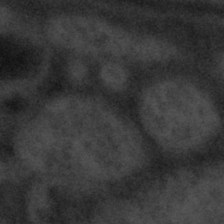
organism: Tuwongella immobilis